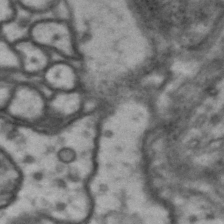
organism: Drosophila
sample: Brain